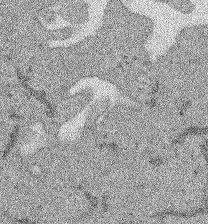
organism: Human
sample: HeLa cells